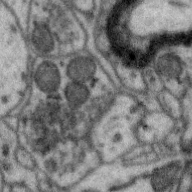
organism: Zebra finch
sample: Brain